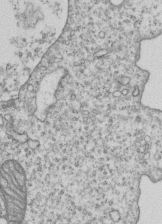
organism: Human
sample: MDA-MB-231 cells